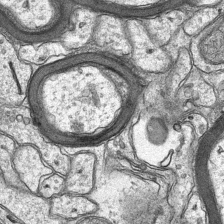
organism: Mouse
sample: CA1 Hippocampus